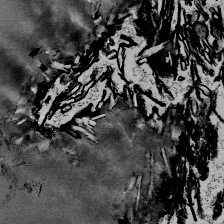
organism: Mouse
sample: Mouse Salivary gland